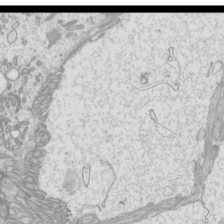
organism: Mouse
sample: Cilia; mouse epididymis